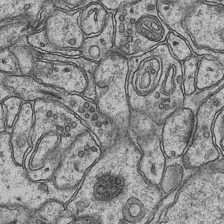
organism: Mouse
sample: CA1 Hippocampus